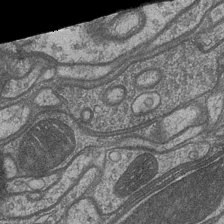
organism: Drosophila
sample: Optic medulla